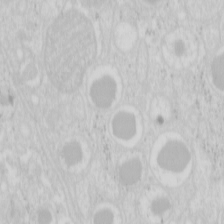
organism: Mouse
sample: Pancreas